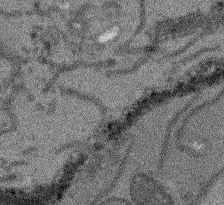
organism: Arabidopsis thaliana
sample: Root tip